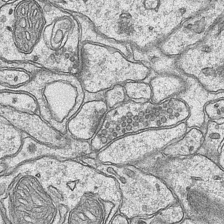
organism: Mouse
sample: CA1 Hippocampus